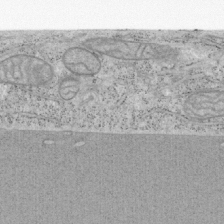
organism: Human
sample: HeLa cells